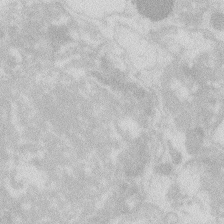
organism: Zebrafish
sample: Macrophage